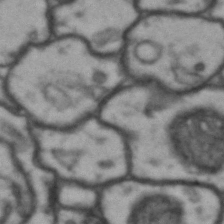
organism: Drosophila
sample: Brain